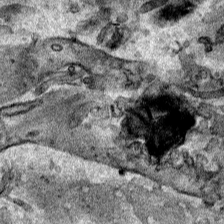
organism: Human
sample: Mitochondria in HCT116 cells